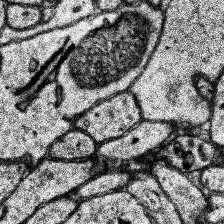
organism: Human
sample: Temporal Lobe